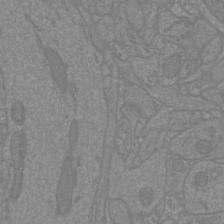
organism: Mouse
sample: Cortical neurons